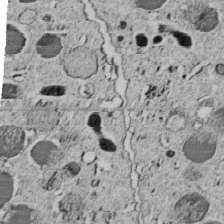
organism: C. elegans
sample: C. elegans embryo early stage